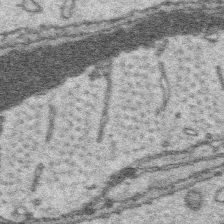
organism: Platynereis dumerilii